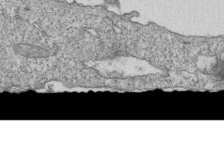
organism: Human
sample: HeLa cell HIV synapse